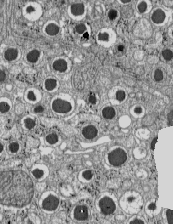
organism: C57BL Mouse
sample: Pancreatic islet